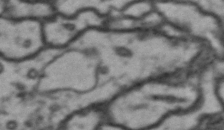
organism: Drosophila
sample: Brain